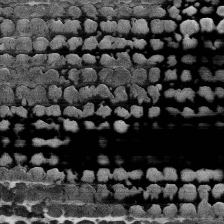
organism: Human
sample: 1205lu cells